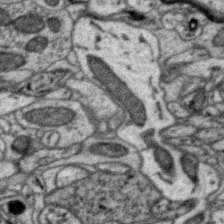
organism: Zebra finch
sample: Brain